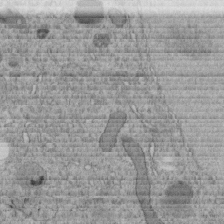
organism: C. elegans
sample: C. elegans embryo early stage